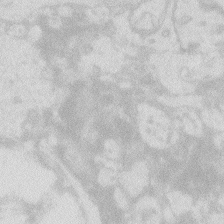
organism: Zebrafish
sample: Macrophage